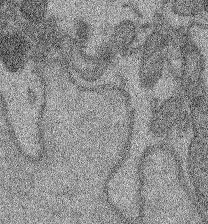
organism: Human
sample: HeLa cells